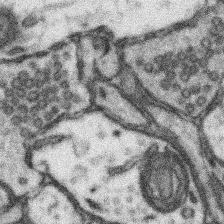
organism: Mouse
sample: Somatosensory cortex neuropil